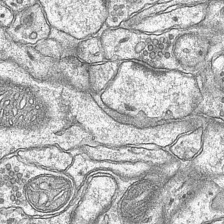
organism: Mouse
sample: CA1 Hippocampus